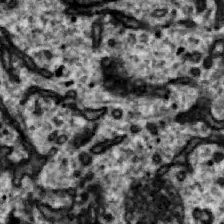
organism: Human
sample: HeLa cells